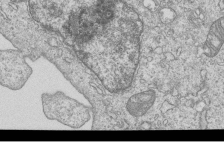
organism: Human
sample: MDA-MB-231 cells